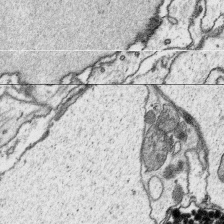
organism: Platynereis dumerilii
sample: Parapodia